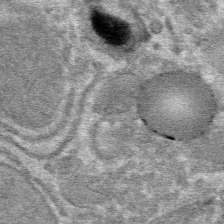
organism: Mouse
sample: Mouse hepatocytes